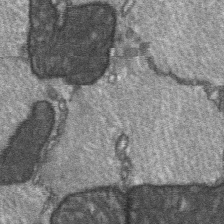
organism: C57BL Mouse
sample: Soleus